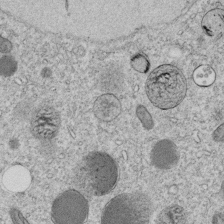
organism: C. elegans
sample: C. elegans embryo early stage